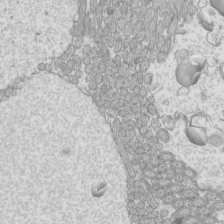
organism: Mouse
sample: Cilia; mouse epididymis